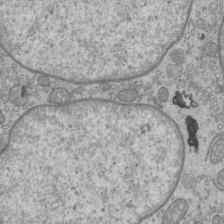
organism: Mouse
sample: Cilia; mouse epididymis